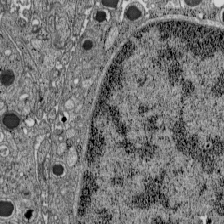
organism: C57BL Mouse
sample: Pancreatic islet